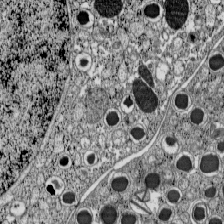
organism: C57BL Mouse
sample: Pancreatic islet